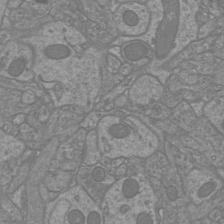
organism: Mouse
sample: Cortical neurons